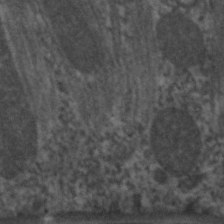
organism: C. elegans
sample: Pharynx